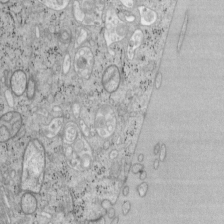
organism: Mouse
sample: OT-I killer T cells with ID8 ovarian cancer cells